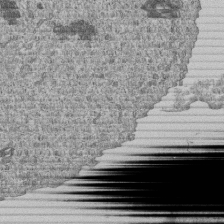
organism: Human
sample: MDA-MB-231 cells